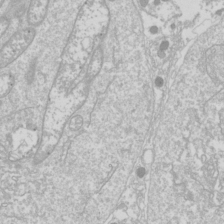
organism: Drosophila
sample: Cell division; meiosis; drosophila spermatocytes